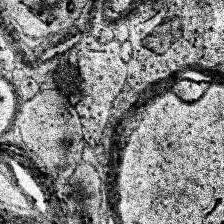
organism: Human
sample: Temporal Lobe